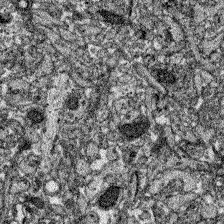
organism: Zebrafish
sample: Larval olfactory bulb